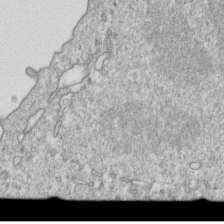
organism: Mouse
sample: Activated OT-1 CD8+ T cells